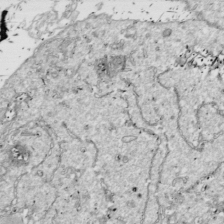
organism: Drosophila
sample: Cell division; meiosis; drosophila spermatocytes